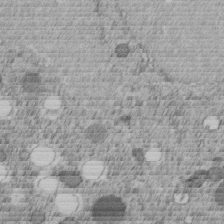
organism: C. elegans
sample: C. elegans embryo early stage